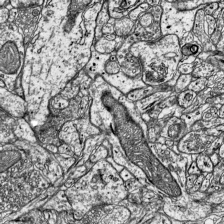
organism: Mouse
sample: Visual Cortex